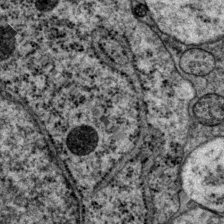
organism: P. pacificus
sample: Pharynx